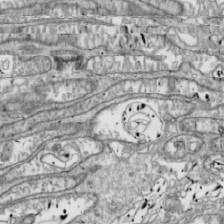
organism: Drosophila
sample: Cell division; meiosis; drosophila spermatocytes